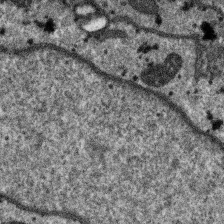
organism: Human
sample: Lung epithelial cells infected with SARS-CoV-2